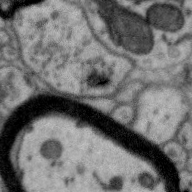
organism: Zebra finch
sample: Brain